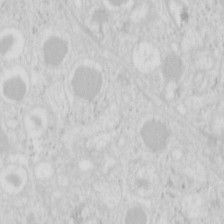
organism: Mouse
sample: Pancreas